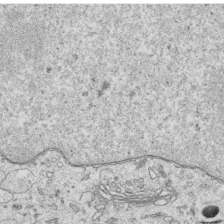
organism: Human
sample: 1205lu cells